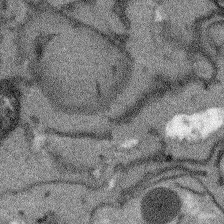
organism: Arabidopsis thaliana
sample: Root tip